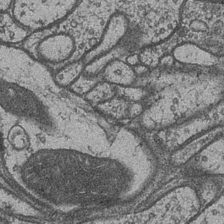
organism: Drosophila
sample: Optic medulla